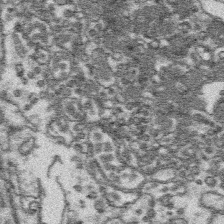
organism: Platynereis dumerilii